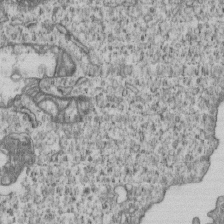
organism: Human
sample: MDA-MB-231 cells